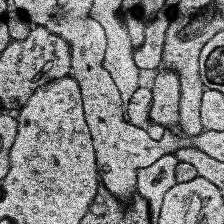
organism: Human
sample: Temporal Lobe